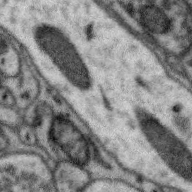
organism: Zebra finch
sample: Brain